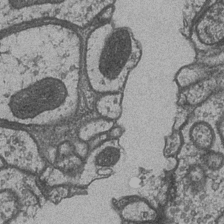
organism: Drosophila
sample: Optic medulla